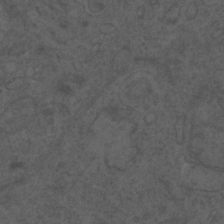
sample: Trachea